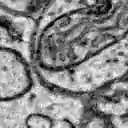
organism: Zebrafish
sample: Brain